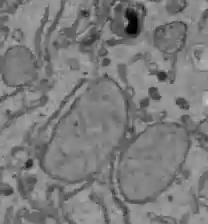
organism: C57BL Mouse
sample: Liver